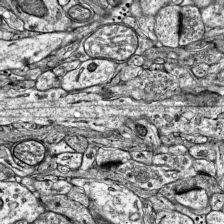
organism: Mouse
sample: Visual Cortex